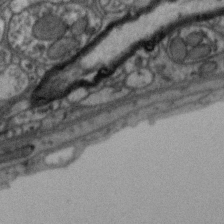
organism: Zebra finch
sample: Brain